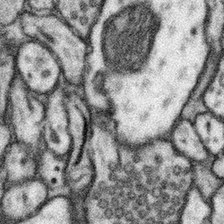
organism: Mouse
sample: Somatosensory cortex neuropil